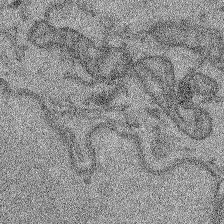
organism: Human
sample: HeLa cells